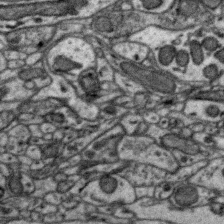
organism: Zebra finch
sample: Brain